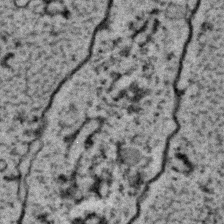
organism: C. elegans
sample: C. elegans embryo